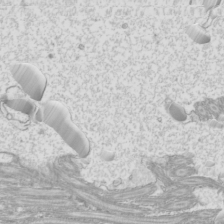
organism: Mouse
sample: Cilia; mouse epididymis